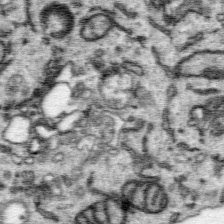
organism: Human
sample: HeLa cells